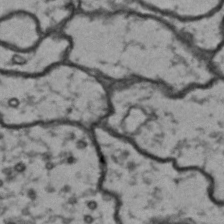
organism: Drosophila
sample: Brain